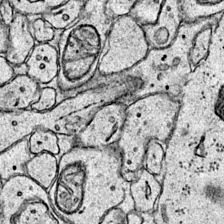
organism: Mouse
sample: Primary visual cortex